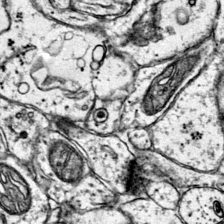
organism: Mouse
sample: Primary visual cortex